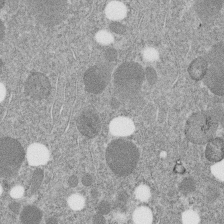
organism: C. elegans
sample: C. elegans embryo early stage